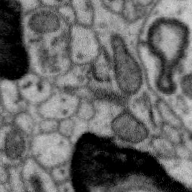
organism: Zebra finch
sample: Brain